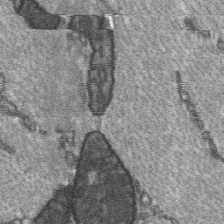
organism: C57BL Mouse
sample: Soleus